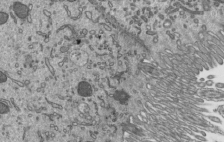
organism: Mouse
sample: Mouse epididymis efferent ductule cilia